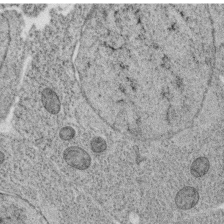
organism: C. elegans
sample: C. elegans oocyte; sperm cells